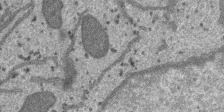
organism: Human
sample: Lung epithelial cells infected with SARS-CoV-2